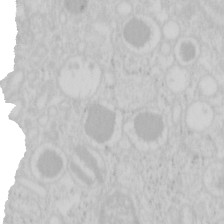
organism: Mouse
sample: Pancreas